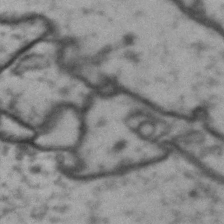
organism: Drosophila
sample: Brain